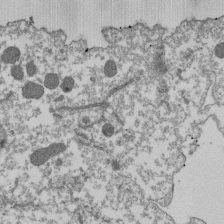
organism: Dictyostelium discoideum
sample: Dictyostelium multivesicular bodies